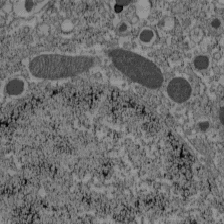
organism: C57BL Mouse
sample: Pancreatic islet